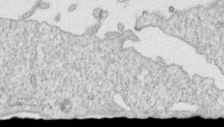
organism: Human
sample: HeLa cell HIV synapse